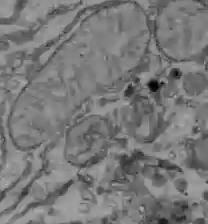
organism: C57BL Mouse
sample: Liver